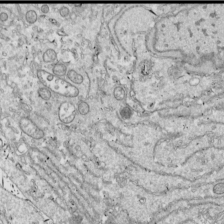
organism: Drosophila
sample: Cell division; meiosis; drosophila spermatocytes